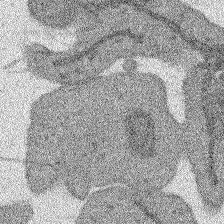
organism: Human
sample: HeLa cells